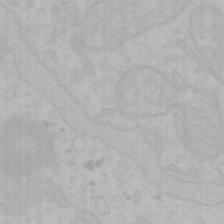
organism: Mouse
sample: Choroid plexus